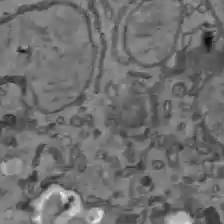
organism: C57BL Mouse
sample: Liver